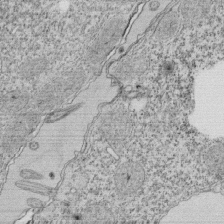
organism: Tetrahymena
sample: Cilia in tetrahymena